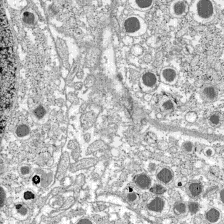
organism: C57BL Mouse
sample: Pancreatic islet